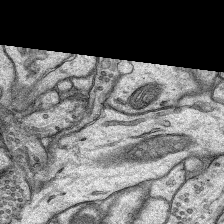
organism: Rat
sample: Hippocampus